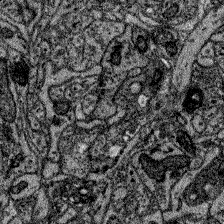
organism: Zebrafish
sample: Larval olfactory bulb